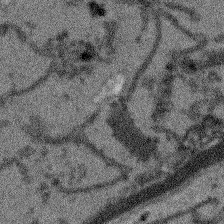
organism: Arabidopsis thaliana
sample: Root tip